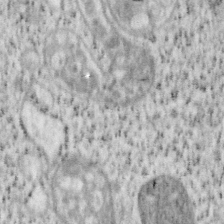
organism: Mouse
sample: OT-I killer T cells with ID8 ovarian cancer cells